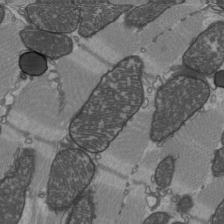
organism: C57BL Mouse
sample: Heart